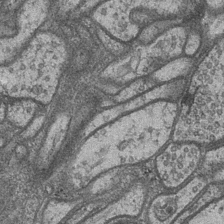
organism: Drosophila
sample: Optic medulla